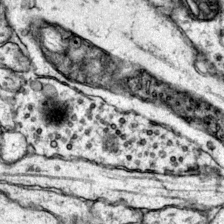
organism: Mouse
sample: Primary visual cortex